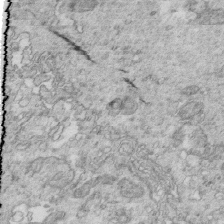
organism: Mouse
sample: Multiciliated cells